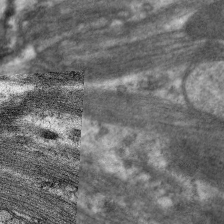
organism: C. elegans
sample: Pharynx